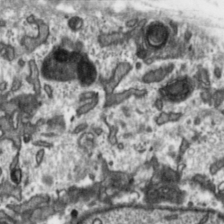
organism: Toxoplasma gondii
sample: Parasites in a vacuole inside a host cell